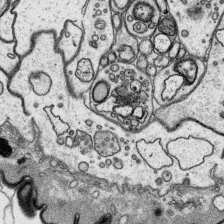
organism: Platynereis dumerilii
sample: Parapodia